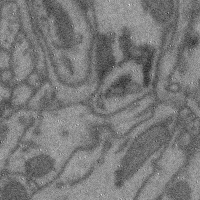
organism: Mouse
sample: Cerebral cortex